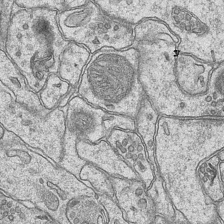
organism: Mouse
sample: CA1 Hippocampus